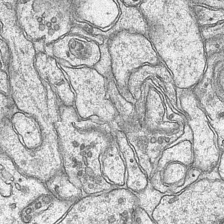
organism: Mouse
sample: CA1 Hippocampus